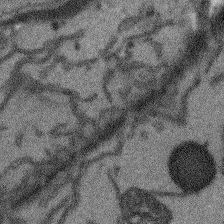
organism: Arabidopsis thaliana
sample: Root tip